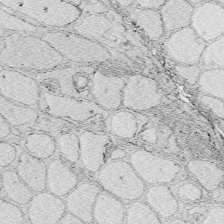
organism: Zebrafish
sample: Whole-Brain